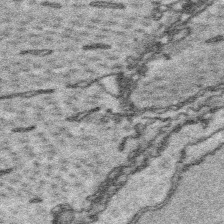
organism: Platynereis dumerilii